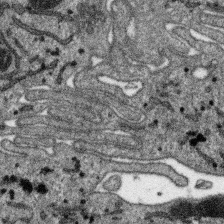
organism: Human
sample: Lung epithelial cells infected with SARS-CoV-2